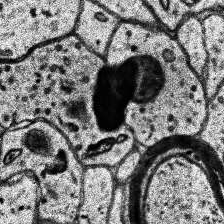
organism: Human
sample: Temporal Lobe